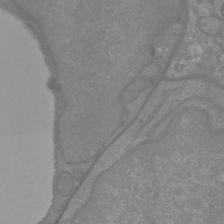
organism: Mouse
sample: Cortical neurons